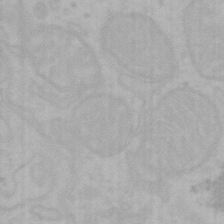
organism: Mouse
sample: Choroid plexus